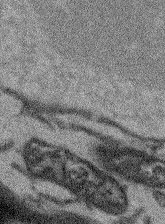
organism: Arabidopsis thaliana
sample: Root tip